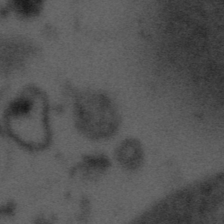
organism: Tuwongella immobilis